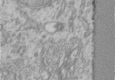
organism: Human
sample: Centriole in RPE cells